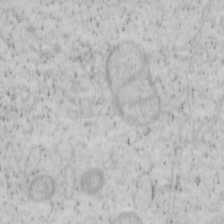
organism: Human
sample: HeLa cells